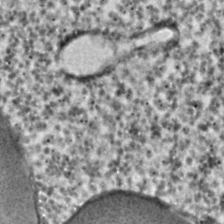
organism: C. elegans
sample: C. elegans embryo